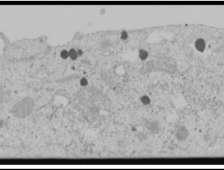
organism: Human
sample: Mitochondria in U2OS cells